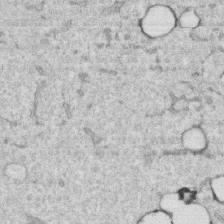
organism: Human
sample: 1205lu cells